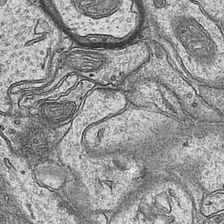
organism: Mouse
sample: CA1 Hippocampus